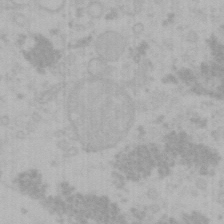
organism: Mouse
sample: Choroid plexus